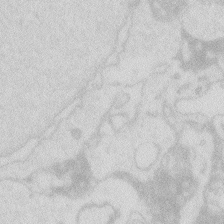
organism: Zebrafish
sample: Macrophage